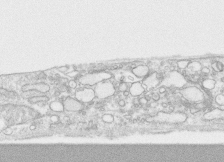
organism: Human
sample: CRL-1474